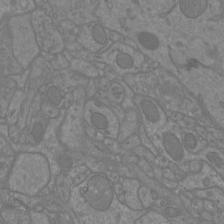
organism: Mouse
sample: Cortical neurons